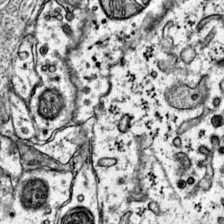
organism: Mouse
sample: Primary visual cortex